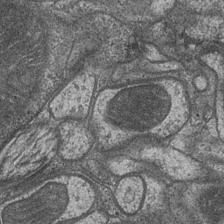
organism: Drosophila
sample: Optic medulla